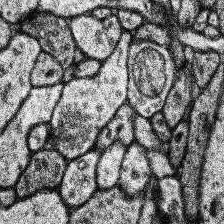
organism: Human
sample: Temporal Lobe